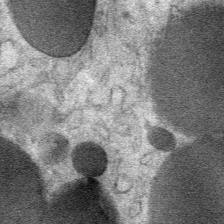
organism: Mouse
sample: Mouse Salivary gland